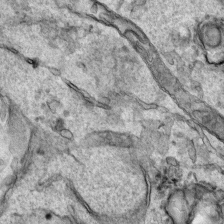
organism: Human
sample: Mitochondria in HCT116 cells